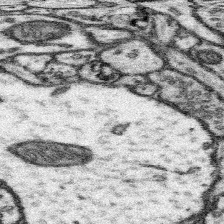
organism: Mouse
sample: Somatosensory cortex neuropil